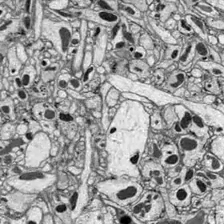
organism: Drosophila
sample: Optic lobe